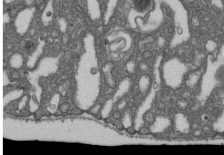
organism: Drosophila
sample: Nephrocyte